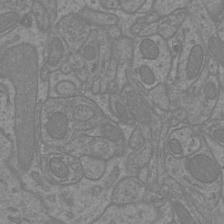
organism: Mouse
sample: Cortical neurons